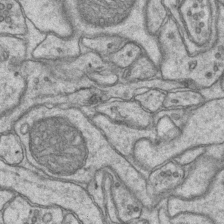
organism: Mouse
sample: CA1 Hippocampus